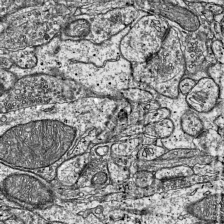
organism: Mouse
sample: Visual Cortex